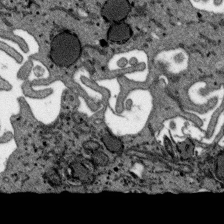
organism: Human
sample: Lung epithelial cells, uninfected (mock) control